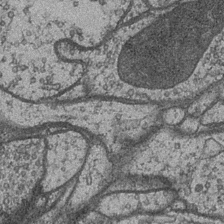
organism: Drosophila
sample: Optic medulla